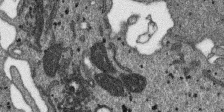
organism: Human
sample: Lung epithelial cells infected with SARS-CoV-2